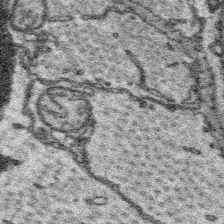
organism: Platynereis dumerilii